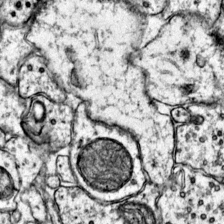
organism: Mouse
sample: Primary visual cortex